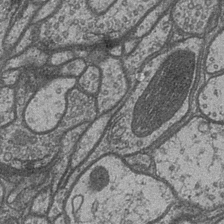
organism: Drosophila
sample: Optic medulla